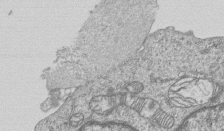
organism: Human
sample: MDA-MB-231 cells